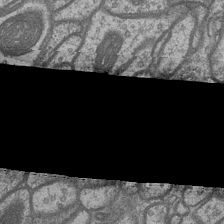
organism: Drosophila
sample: Optic medulla